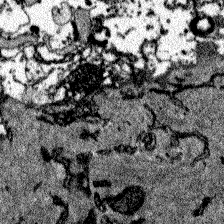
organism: Zebrafish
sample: Larval olfactory bulb